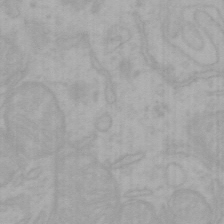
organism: Mouse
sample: Choroid plexus